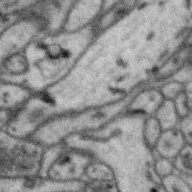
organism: Zebra finch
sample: Brain